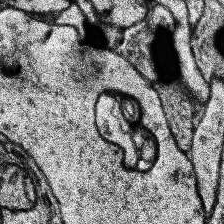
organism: Human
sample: Temporal Lobe